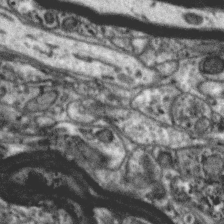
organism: Zebra finch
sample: Brain